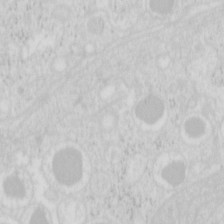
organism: Mouse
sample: Pancreas